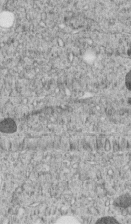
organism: C. elegans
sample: C. elegans embryo early stage